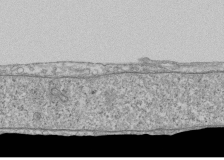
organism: Human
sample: Fibroblast cells